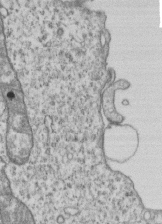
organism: Human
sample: MDA-MB-231 cells